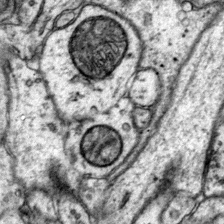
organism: Mouse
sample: Primary visual cortex